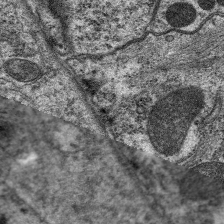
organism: C. elegans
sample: Pharynx